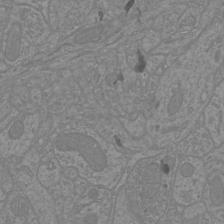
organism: Mouse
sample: Cortical neurons